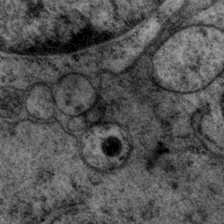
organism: P. pacificus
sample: Pharynx